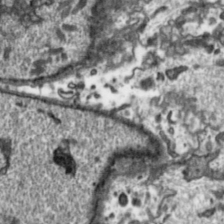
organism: Toxoplasma gondii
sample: Parasites in a vacuole inside a host cell